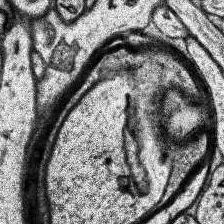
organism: Human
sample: Temporal Lobe